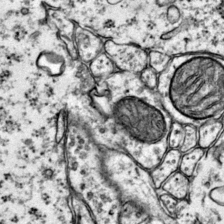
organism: Mouse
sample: Primary visual cortex